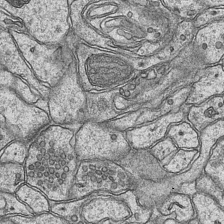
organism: Mouse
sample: CA1 Hippocampus